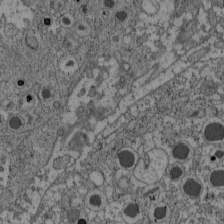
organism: C57BL Mouse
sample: Pancreatic islet